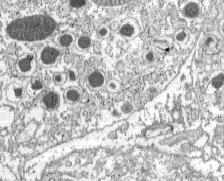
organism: C57BL Mouse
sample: Pancreatic islet